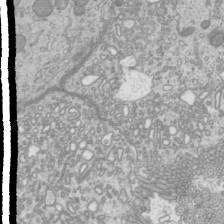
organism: Mouse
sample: Cilia; mouse epididymis